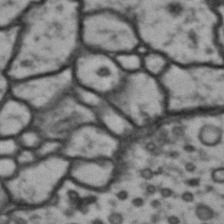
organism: Drosophila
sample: Brain